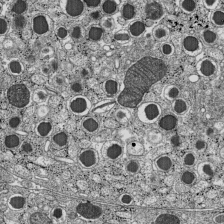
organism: C57BL Mouse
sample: Pancreatic islet